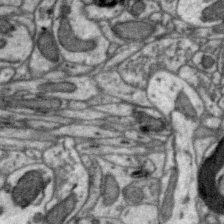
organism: Zebra finch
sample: Brain